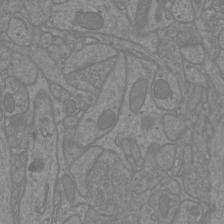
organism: Mouse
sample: Cortical neurons